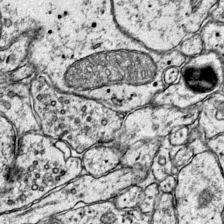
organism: Mouse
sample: Primary visual cortex